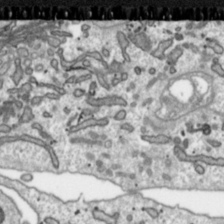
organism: Toxoplasma gondii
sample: Parasites in a vacuole inside a host cell